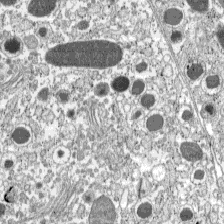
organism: C57BL Mouse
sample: Pancreatic islet